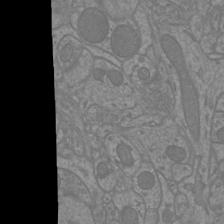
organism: Mouse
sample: Cortical neurons